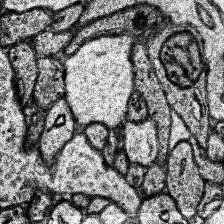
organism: Human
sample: Temporal Lobe